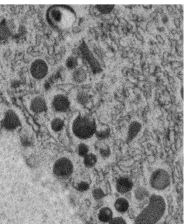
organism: C. elegans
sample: C. elegans oocyte; sperm cells